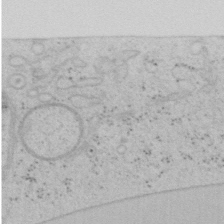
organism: Human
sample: HeLa cells